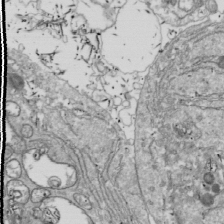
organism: Drosophila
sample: Cell division; meiosis; drosophila spermatocytes